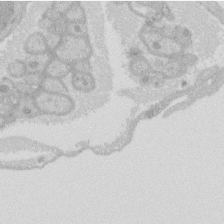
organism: Rat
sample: Salivary granule